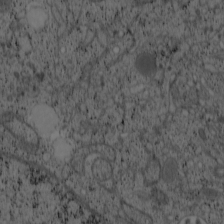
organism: African green monkey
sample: COS-7 cells